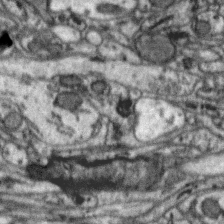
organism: Zebra finch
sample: Brain